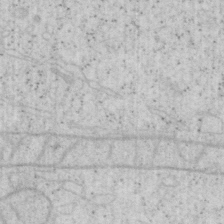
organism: Human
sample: HeLa cells